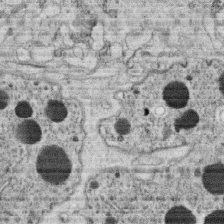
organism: C. elegans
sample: C. elegans oocyte; sperm cells